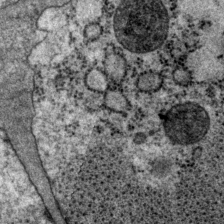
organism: P. pacificus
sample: Pharynx